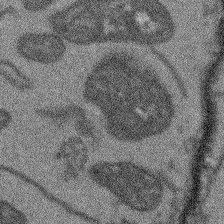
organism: Arabidopsis thaliana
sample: Root tip